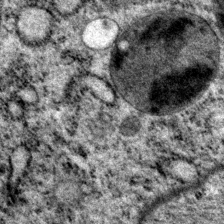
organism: P. pacificus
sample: Pharynx